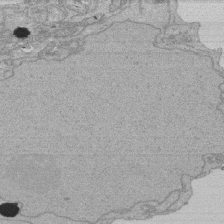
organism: Human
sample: Activated Jurkat CD4+ T cells